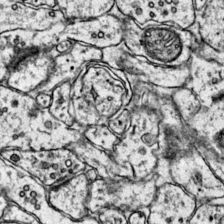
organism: Mouse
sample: Primary visual cortex